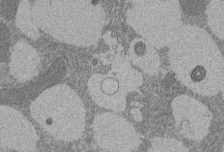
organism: Rat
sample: Salivary granule